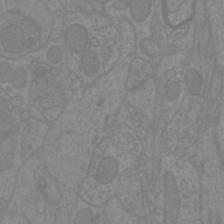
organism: Mouse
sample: Cortical neurons